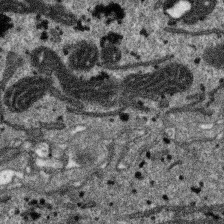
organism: Human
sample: Lung epithelial cells infected with SARS-CoV-2